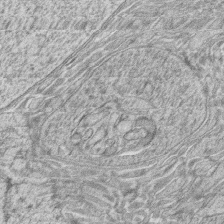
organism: Zebrafish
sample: synaptic ribbons in rod cells and cone cells